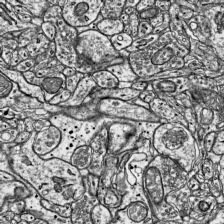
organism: Mouse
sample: Visual Cortex